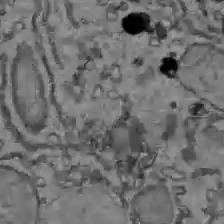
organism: C57BL Mouse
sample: Liver